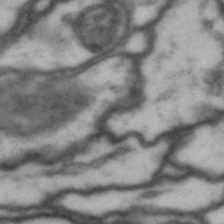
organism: Drosophila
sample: Brain